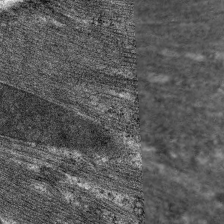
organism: C. elegans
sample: Pharynx